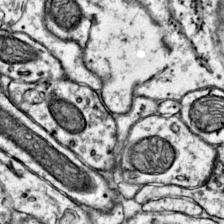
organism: Mouse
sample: Primary visual cortex